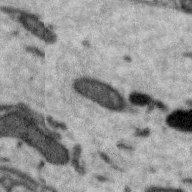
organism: Zebra finch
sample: Brain